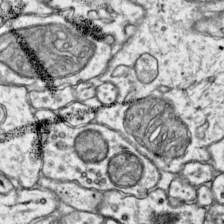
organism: Mouse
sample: Primary visual cortex